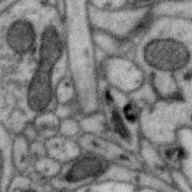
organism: Zebra finch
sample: Brain